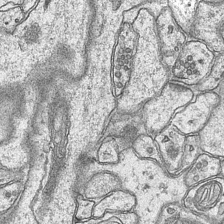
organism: Mouse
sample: CA1 Hippocampus